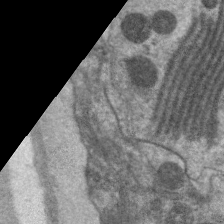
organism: C. elegans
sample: Pharynx